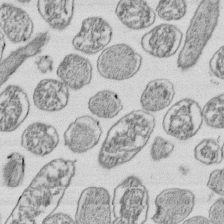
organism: E. coli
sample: Bacterial nucleoid